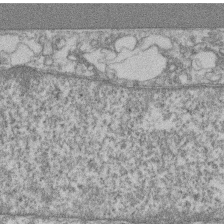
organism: Mouse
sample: T cell stromal cell synapse